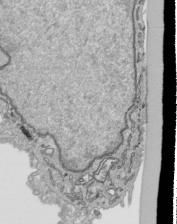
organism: Human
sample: Mitochondria in HCT116 cells